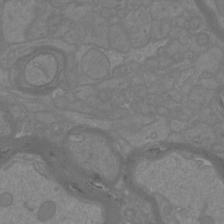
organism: Mouse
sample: Cortical neurons